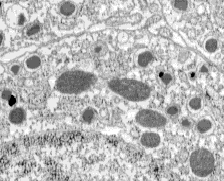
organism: C57BL Mouse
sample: Pancreatic islet